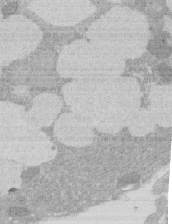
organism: Rat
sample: Salivary granule